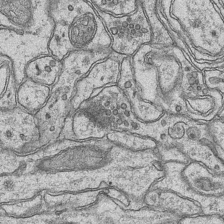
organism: Mouse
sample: CA1 Hippocampus